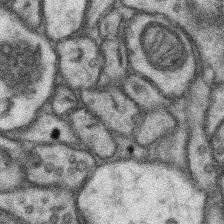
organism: Mouse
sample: Somatosensory cortex neuropil